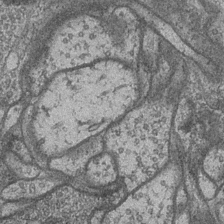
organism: Drosophila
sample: Optic medulla